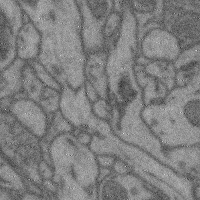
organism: Mouse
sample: Cerebral cortex